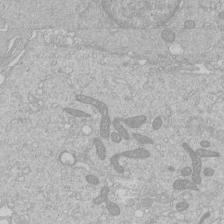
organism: Human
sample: Macrophage cells